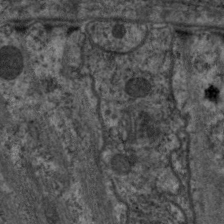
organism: C. elegans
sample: Pharynx